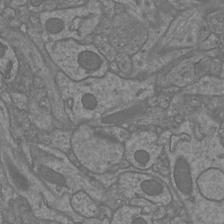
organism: Mouse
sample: Cortical neurons